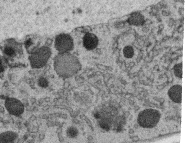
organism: C. elegans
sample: C. elegans oocyte; sperm cells